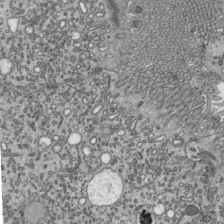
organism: Mouse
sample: Mouse epididymis efferent ductule cilia